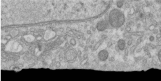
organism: Human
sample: Centriole in RPE cells